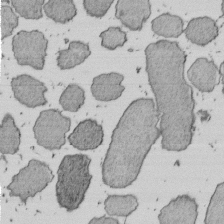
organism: E. coli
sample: Bacterial nucleoid